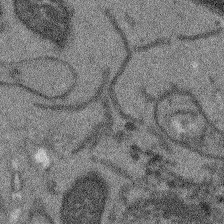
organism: Arabidopsis thaliana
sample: Root tip